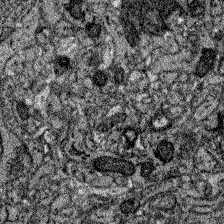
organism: Zebrafish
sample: Larval olfactory bulb